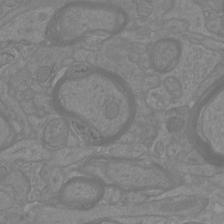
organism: Mouse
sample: Cortical neurons